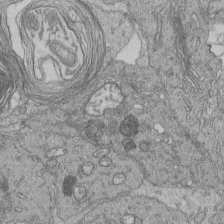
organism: Human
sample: Retinal organoid Rod and Cone cells